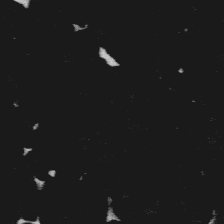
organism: Platynereis dumerilii